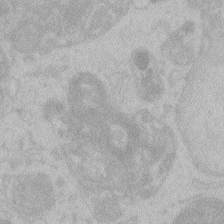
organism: Zebrafish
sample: Macrophage infected with Toxoplasma gondii